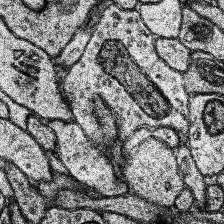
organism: Human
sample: Temporal Lobe